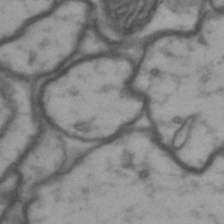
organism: Drosophila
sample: Brain